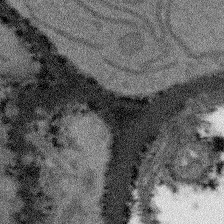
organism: Arabidopsis thaliana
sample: Root tip